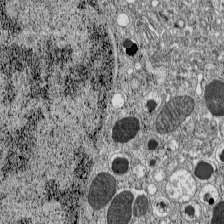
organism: C57BL Mouse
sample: Pancreatic islet